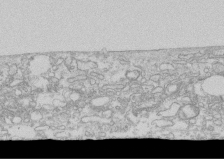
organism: Human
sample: CRL-1474